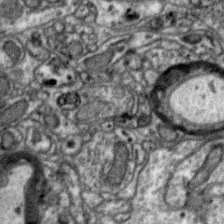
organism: Zebra finch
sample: Brain